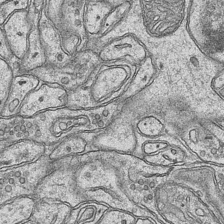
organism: Mouse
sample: CA1 Hippocampus